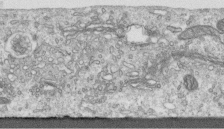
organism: Human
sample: Centriole in RPE cells